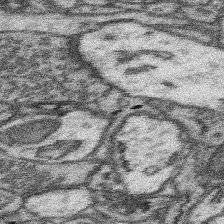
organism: Mouse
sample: Somatosensory cortex neuropil